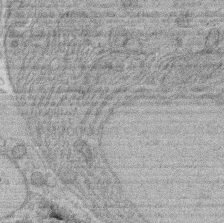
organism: Rat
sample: Salivary granule